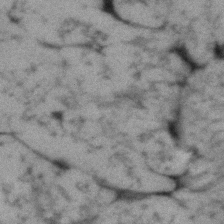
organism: Human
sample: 1205lu cells